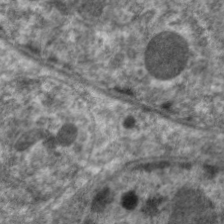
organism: C. elegans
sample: Pharynx